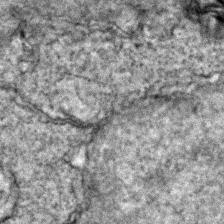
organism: Zebrafish